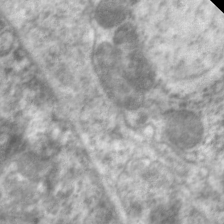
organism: C. elegans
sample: Pharynx